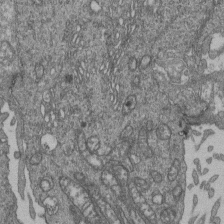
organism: Human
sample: Retinal organoid Rod and Cone cells